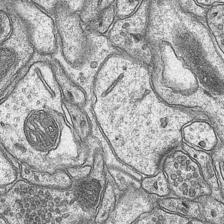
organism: Mouse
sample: CA1 Hippocampus